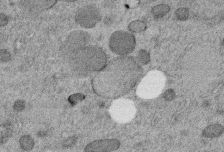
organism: C. elegans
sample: C. elegans embryo early stage